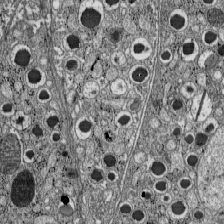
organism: C57BL Mouse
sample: Pancreatic islet